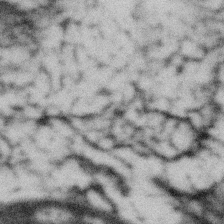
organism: Gemmata obscuriglobus